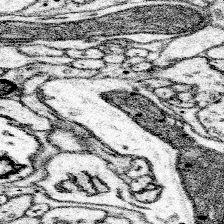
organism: Mouse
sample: Somatosensory cortex neuropil